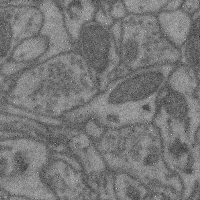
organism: Mouse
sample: Cerebral cortex